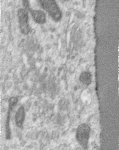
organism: Human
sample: Centriole in RPE cells